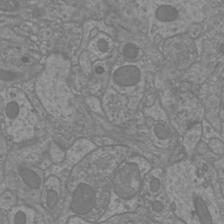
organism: Mouse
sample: Cortical neurons